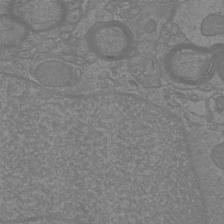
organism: Mouse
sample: Cortical neurons